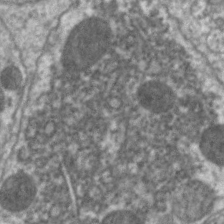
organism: C. elegans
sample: Pharynx